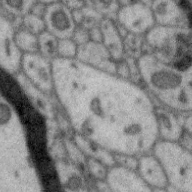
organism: Zebra finch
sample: Brain